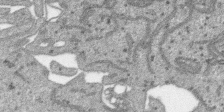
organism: Human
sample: Lung epithelial cells infected with SARS-CoV-2